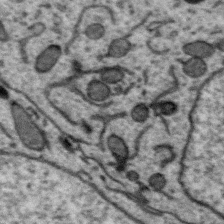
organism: Zebra finch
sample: Brain